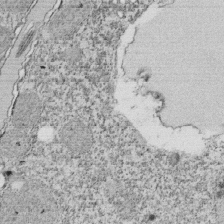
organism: Tetrahymena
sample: Cilia in tetrahymena